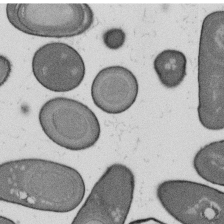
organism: B. subtilis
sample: Bacterial spore